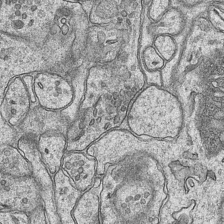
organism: Mouse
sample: CA1 Hippocampus